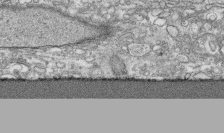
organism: Human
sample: CRL-1474